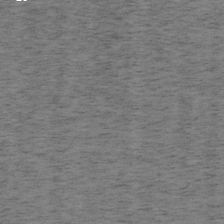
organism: Mouse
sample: OT-I killer T cells with ID8 ovarian cancer cells